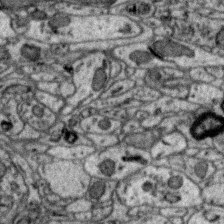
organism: Zebra finch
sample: Brain